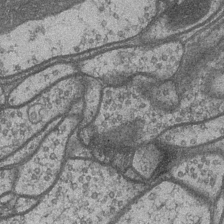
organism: Drosophila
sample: Optic medulla